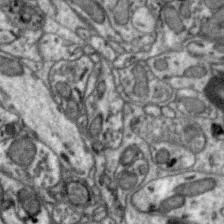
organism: Zebra finch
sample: Brain